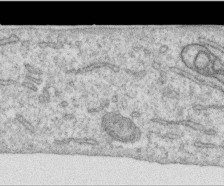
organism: Human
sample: Centriole in RPE cells